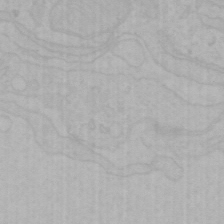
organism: Mouse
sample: Choroid plexus